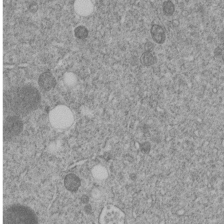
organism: C. elegans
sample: C. elegans embryo early stage